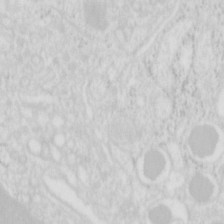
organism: Mouse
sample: Pancreas